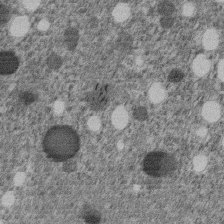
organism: C. elegans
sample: C. elegans embryo early stage